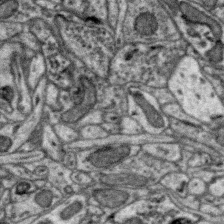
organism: Zebra finch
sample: Brain